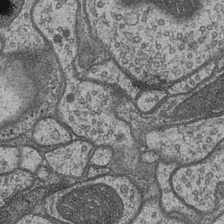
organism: Drosophila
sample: Optic medulla